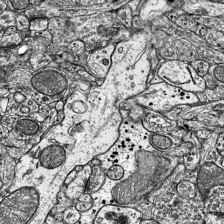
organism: Mouse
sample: Visual Cortex